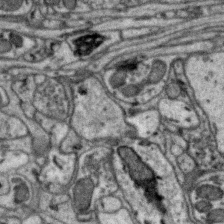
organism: Zebra finch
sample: Brain